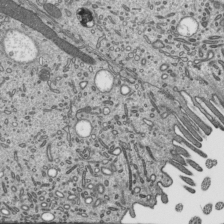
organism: Mouse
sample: Mouse epididymis efferent ductule cilia